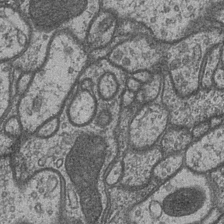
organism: Drosophila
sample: Optic medulla